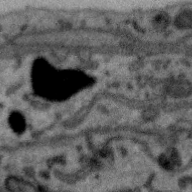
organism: Zebra finch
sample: Brain